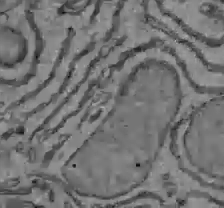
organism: C57BL Mouse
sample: Liver